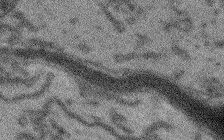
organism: Arabidopsis thaliana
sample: Root tip